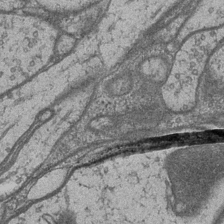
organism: Drosophila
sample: Optic medulla